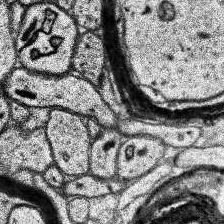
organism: Human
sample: Temporal Lobe